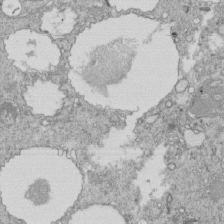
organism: Tetrahymena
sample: Cilia in tetrahymena